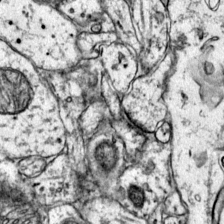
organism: Mouse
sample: Primary visual cortex